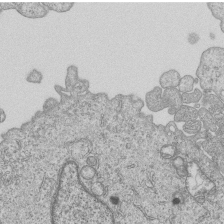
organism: Human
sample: MDA-MB-231 cells